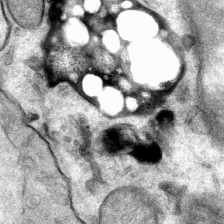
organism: Mouse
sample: Mouse Salivary gland